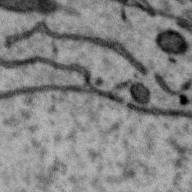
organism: Zebra finch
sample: Brain